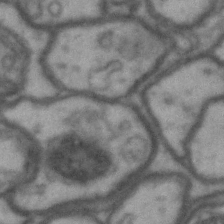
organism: Drosophila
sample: Brain